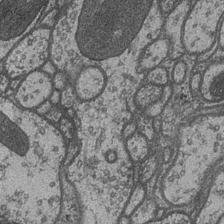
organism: Drosophila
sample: Optic medulla